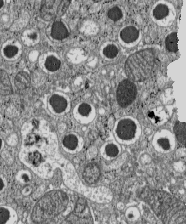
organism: C57BL Mouse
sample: Pancreatic islet